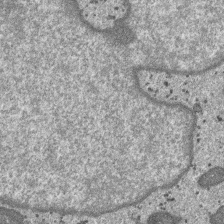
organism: Human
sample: Lung epithelial cells infected with SARS-CoV-2